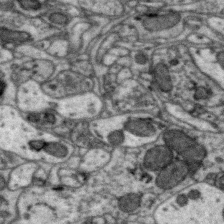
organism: Zebra finch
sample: Brain